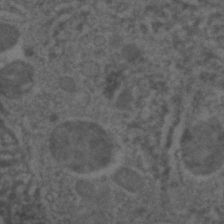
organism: C. elegans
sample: C. elegans embryo